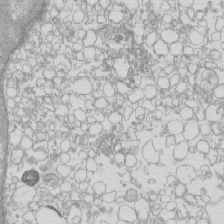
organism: Mouse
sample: Macrophages